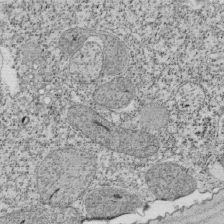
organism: Tetrahymena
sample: Cilia in tetrahymena